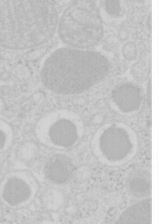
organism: Mouse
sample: Pancreas